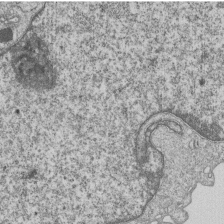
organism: Human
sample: MDA-MB-231 cells